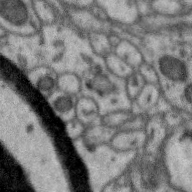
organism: Zebra finch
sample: Brain